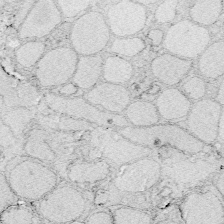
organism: Zebrafish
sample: Whole-Brain